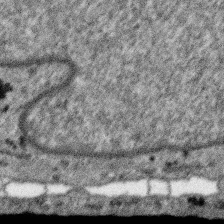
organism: Human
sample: Lung epithelial cells infected with SARS-CoV-2